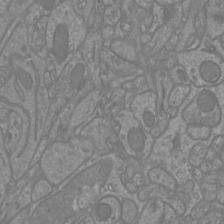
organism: Mouse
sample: Cortical neurons